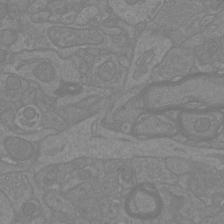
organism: Mouse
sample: Cortical neurons